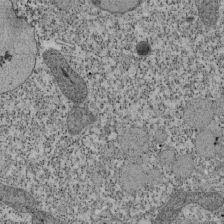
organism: Tetrahymena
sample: Cilia in tetrahymena